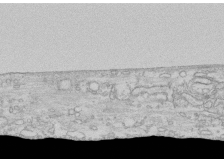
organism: Human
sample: CRL-1474